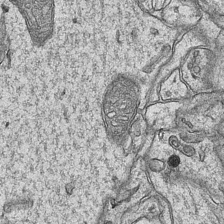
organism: Mouse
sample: CA1 Hippocampus